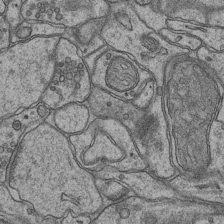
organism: Mouse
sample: CA1 Hippocampus